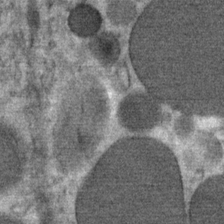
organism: Mouse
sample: Mouse Salivary gland